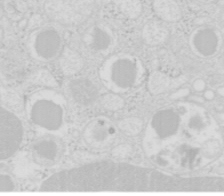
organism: Mouse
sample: Pancreas